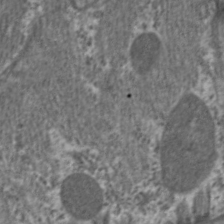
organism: C. elegans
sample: Pharynx